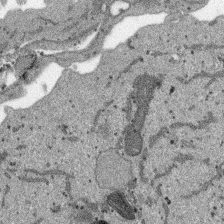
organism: Human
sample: Lung epithelial cells infected with SARS-CoV-2